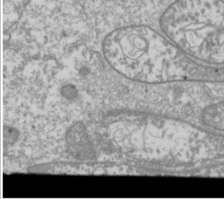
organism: Drosophila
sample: Cell division; meiosis; drosophila spermatocytes